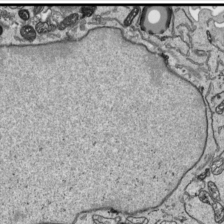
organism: Human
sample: Mitochondria in HCT116 cells